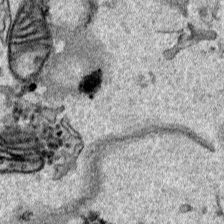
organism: Human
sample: Mitochondria in HCT116 cells